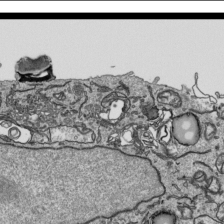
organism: Human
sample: Mitochondria in HCT116 cells